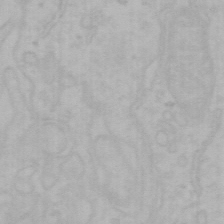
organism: Mouse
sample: Choroid plexus